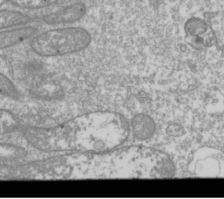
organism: Drosophila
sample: Cell division; meiosis; drosophila spermatocytes